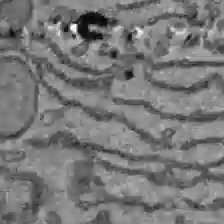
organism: C57BL Mouse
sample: Liver